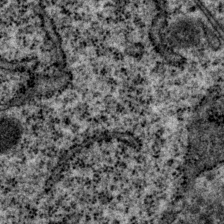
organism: P. pacificus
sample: Pharynx